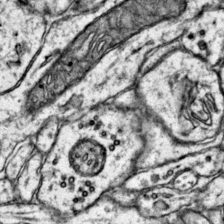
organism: Mouse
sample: Primary visual cortex